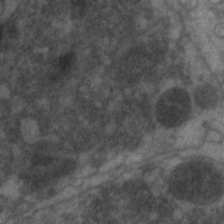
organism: C. elegans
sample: Pharynx